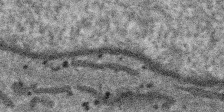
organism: Human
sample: Lung epithelial cells infected with SARS-CoV-2